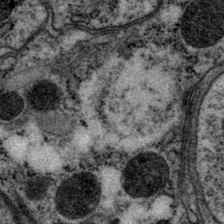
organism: P. pacificus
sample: Pharynx